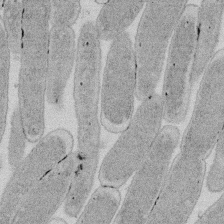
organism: E. coli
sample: Bacterial nucleoid